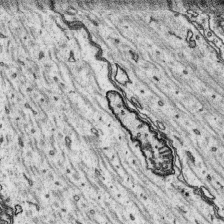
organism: Platynereis dumerilii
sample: Parapodia